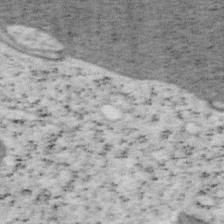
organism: Mouse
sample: OT-I killer T cells with ID8 ovarian cancer cells